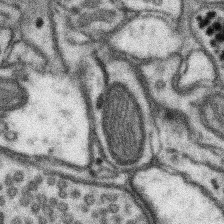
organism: Mouse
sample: Somatosensory cortex neuropil